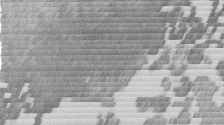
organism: Mouse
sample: Dividing mouse embryo 1 cell stage